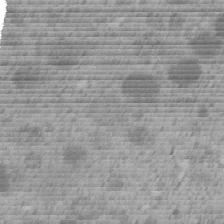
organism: C. elegans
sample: C. elegans embryo early stage